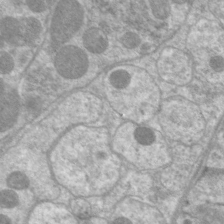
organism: C. elegans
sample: Pharynx